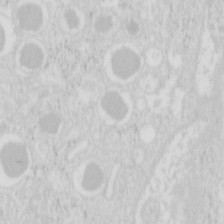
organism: Mouse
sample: Pancreas